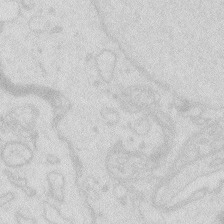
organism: Zebrafish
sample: Macrophage